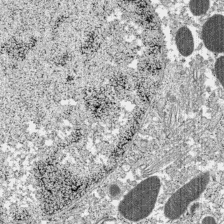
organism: C57BL Mouse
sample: Pancreatic islet